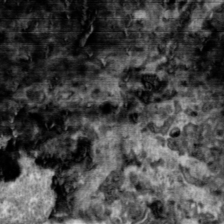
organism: Toxoplasma gondii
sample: Parasites in a vacuole inside a host cell